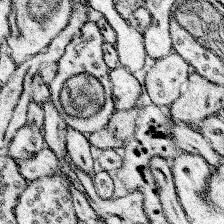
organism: Mouse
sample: Somatosensory cortex neuropil